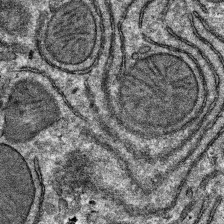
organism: Mouse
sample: Mouse hepatocytes